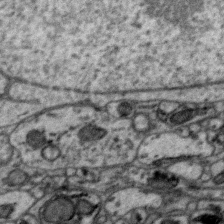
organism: Zebra finch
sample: Brain